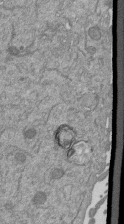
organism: Mouse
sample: ED-1 cell nuclei; centrioles